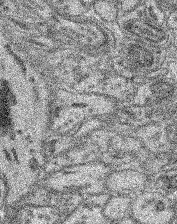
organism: Mouse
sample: Retina